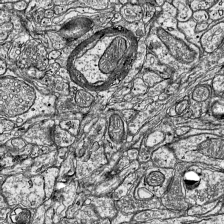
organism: Mouse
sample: Visual Cortex